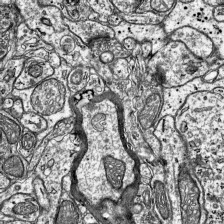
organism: Mouse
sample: Visual Cortex